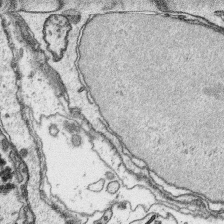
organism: Platynereis dumerilii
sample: Parapodia